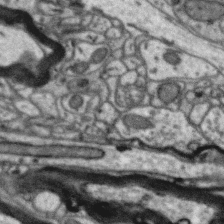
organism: Zebra finch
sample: Brain